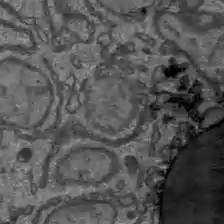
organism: C57BL Mouse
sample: Liver